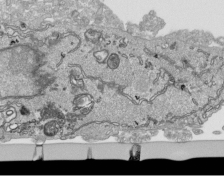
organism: Human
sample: Mitochondria in HCT116 cells